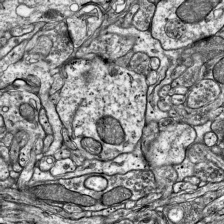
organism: Mouse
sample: Visual Cortex